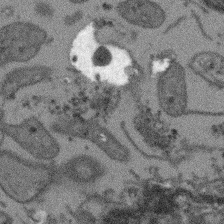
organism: Arabidopsis thaliana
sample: Root tip